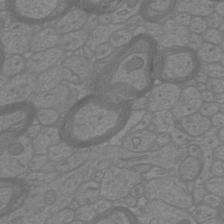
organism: Mouse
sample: Cortical neurons